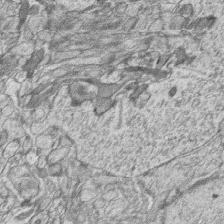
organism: Zebrafish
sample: synaptic ribbons in rod cells and cone cells